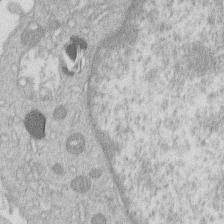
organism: Human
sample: Macrophage cells